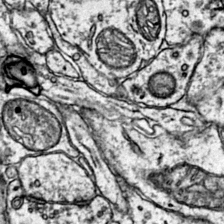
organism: Mouse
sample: Primary visual cortex